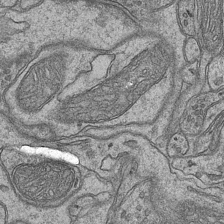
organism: Mouse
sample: CA1 Hippocampus